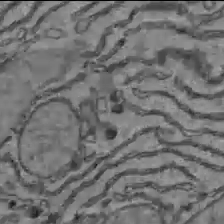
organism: C57BL Mouse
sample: Liver